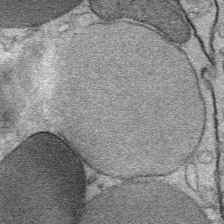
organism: Mouse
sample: Mouse Salivary gland